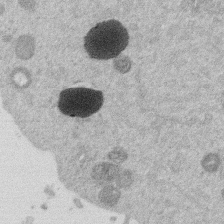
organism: Mouse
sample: Dividing mouse embryo 1 cell stage